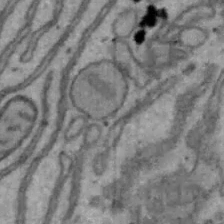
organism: Mouse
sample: Liver